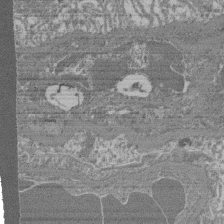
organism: Mouse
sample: Glomerulus